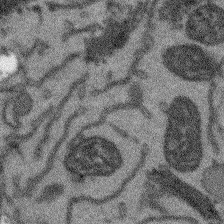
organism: Arabidopsis thaliana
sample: Root tip